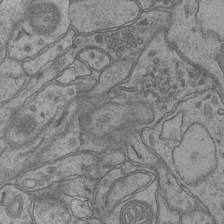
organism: Mouse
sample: CA1 Hippocampus